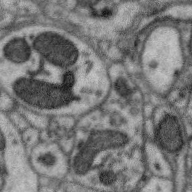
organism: Zebra finch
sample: Brain